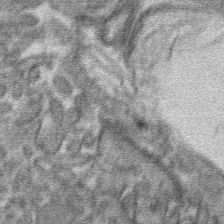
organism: Mouse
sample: Mouse hepatocytes